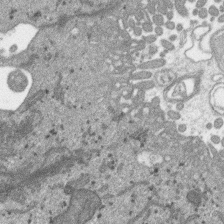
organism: Human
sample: Lung epithelial cells infected with SARS-CoV-2